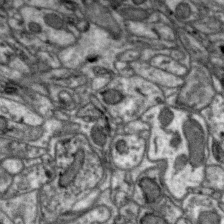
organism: Zebra finch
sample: Brain